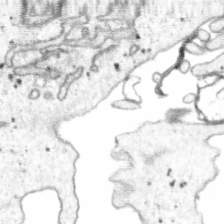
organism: Human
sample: HeLa cells